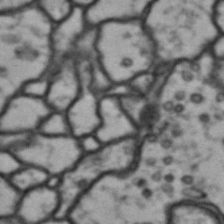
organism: Drosophila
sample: Brain